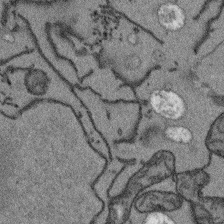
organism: Arabidopsis thaliana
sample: Root tip